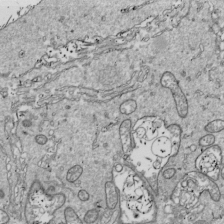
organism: Drosophila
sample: Cell division; meiosis; drosophila spermatocytes